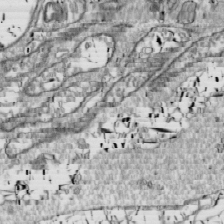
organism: Drosophila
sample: Cell division; meiosis; drosophila spermatocytes